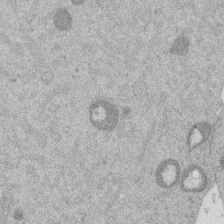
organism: Mouse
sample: Dividing mouse embryo 1 cell stage